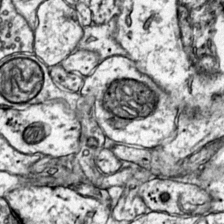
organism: Mouse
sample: Primary visual cortex